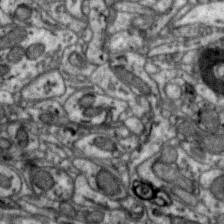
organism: Zebra finch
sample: Brain